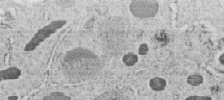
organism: C. elegans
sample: C. elegans embryo early stage